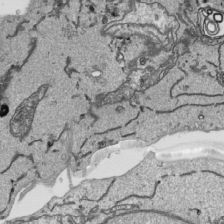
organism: Human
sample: Mitochondria in HCT116 cells